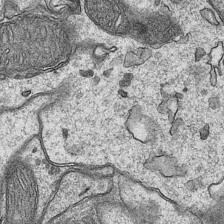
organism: Mouse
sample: CA1 Hippocampus